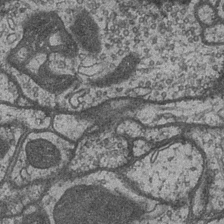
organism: Drosophila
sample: Optic medulla